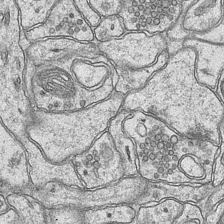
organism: Mouse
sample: CA1 Hippocampus